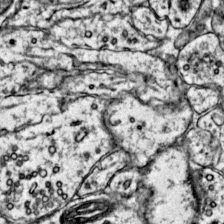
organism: Mouse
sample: Primary visual cortex